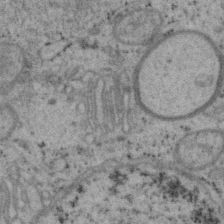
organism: Human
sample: HeLa cells